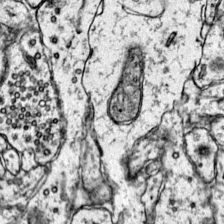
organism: Mouse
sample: Primary visual cortex